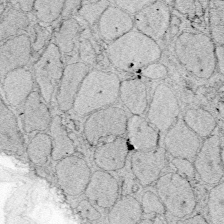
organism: Zebrafish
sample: Whole-Brain